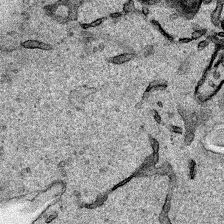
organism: Human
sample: Mitochondria in HCT116 cells